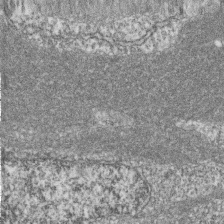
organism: Zebrafish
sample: Cilia; retinal pigment epithelium